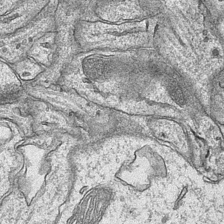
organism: Mouse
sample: CA1 Hippocampus